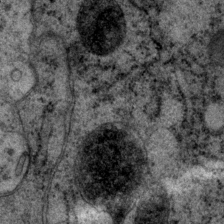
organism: P. pacificus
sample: Pharynx